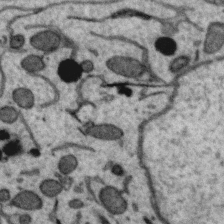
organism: Zebra finch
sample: Brain